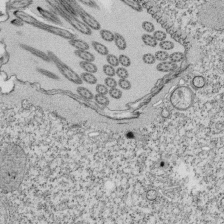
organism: Tetrahymena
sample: Cilia in tetrahymena